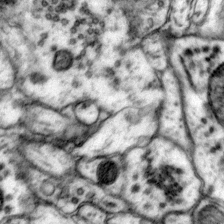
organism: Mouse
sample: Primary visual cortex